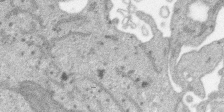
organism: Human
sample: Lung epithelial cells infected with SARS-CoV-2